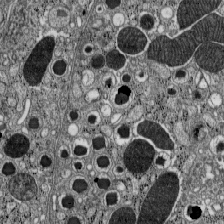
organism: C57BL Mouse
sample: Pancreatic islet